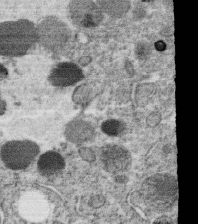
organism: C. elegans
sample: C. elegans oocyte; sperm cells